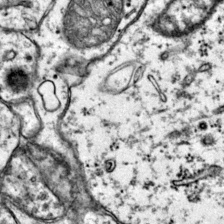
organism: Mouse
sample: Primary visual cortex